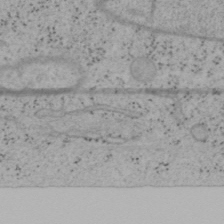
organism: Human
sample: HeLa cells